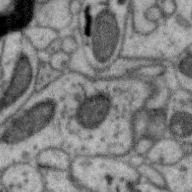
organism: Zebra finch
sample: Brain